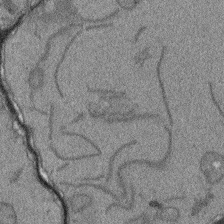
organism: Arabidopsis thaliana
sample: Root tip